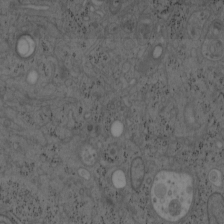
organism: Mouse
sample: OT-I killer T cells with ID8 ovarian cancer cells